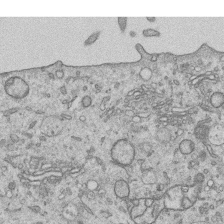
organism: Human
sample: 1205lu cells